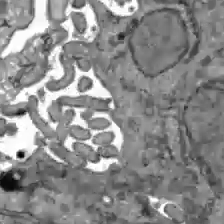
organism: C57BL Mouse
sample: Liver